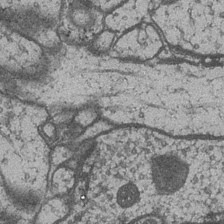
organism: Drosophila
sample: Optic medulla